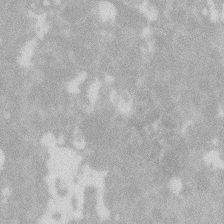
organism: Zebrafish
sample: Macrophage